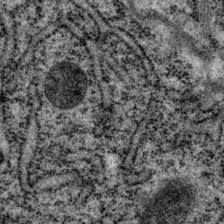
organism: P. pacificus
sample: Pharynx